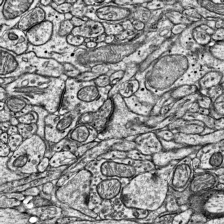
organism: Mouse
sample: Visual Cortex